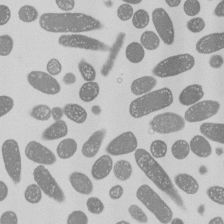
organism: E. coli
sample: Bacterial nucleoid